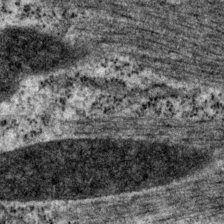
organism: P. pacificus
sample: Pharynx